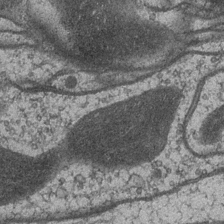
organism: Drosophila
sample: Optic medulla